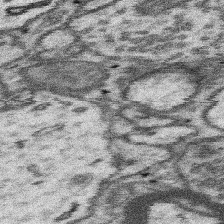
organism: Mouse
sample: Somatosensory cortex neuropil